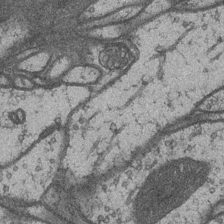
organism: Drosophila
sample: Optic medulla